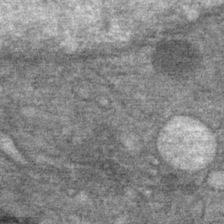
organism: Mouse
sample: Mouse Salivary gland